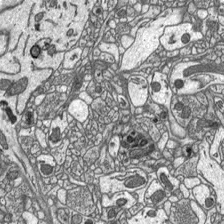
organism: C57BL Mouse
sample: Optic nerve head